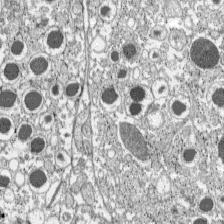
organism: C57BL Mouse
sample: Pancreatic islet